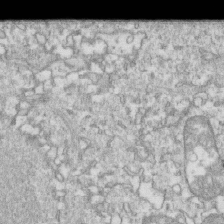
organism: Mouse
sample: Activated OT-1 CD8+ T cells